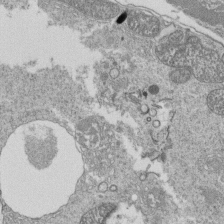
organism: Tetrahymena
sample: Cilia in tetrahymena